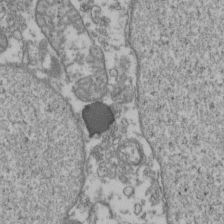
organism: Human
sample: Activated Jurkat CD4+ T cells